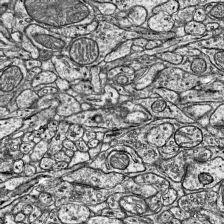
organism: Mouse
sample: Visual Cortex